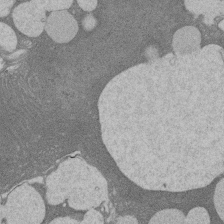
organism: Rat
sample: Salivary granule